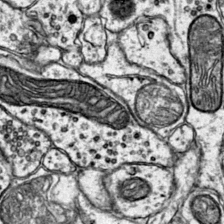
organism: Mouse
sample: Primary visual cortex